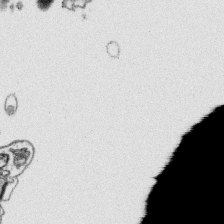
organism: Platynereis dumerilii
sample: Parapodia